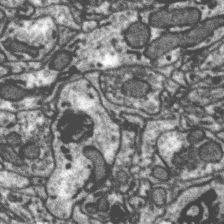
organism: Zebra finch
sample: Brain